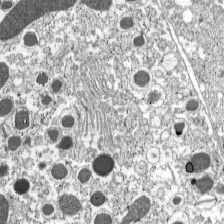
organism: C57BL Mouse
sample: Pancreatic islet